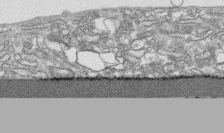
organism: Human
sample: CRL-1474